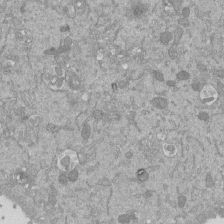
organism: Mouse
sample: ED-1 cell nuclei; centrioles